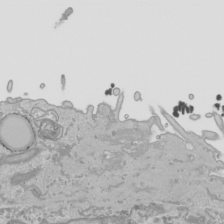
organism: Human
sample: Mitochondria in HCT116 cells